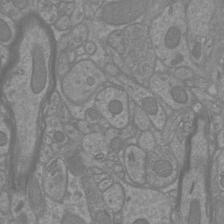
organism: Mouse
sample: Cortical neurons